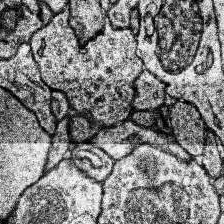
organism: Human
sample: Temporal Lobe